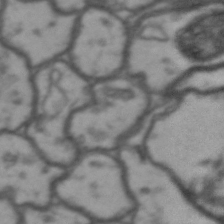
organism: Drosophila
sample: Brain